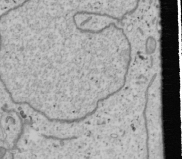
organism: Human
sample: Mitochondria in U2OS cells